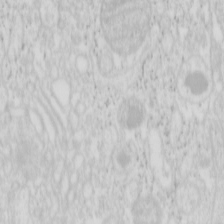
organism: Mouse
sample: Pancreas